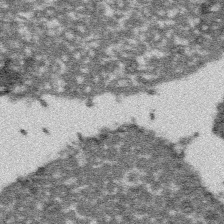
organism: Platynereis dumerilii